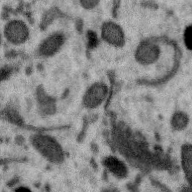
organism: Zebra finch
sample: Brain